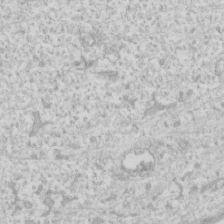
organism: Human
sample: Fibroblast cells